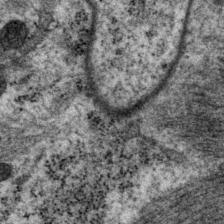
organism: P. pacificus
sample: Pharynx